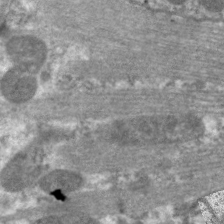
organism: C. elegans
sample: Pharynx